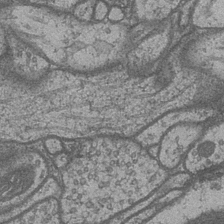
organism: Drosophila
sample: Optic medulla